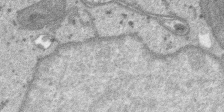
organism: Human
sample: Lung epithelial cells infected with SARS-CoV-2